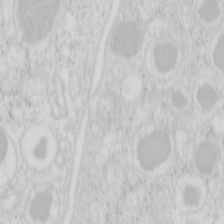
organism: Mouse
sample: Pancreas